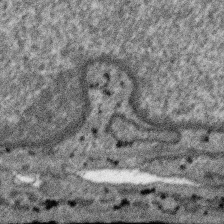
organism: Human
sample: Lung epithelial cells infected with SARS-CoV-2